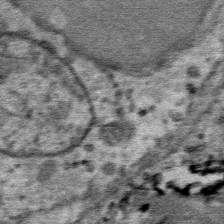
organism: Mouse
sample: Mouse Salivary gland